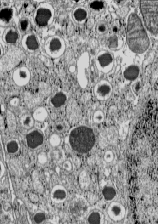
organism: C57BL Mouse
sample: Pancreatic islet